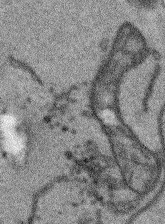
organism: Arabidopsis thaliana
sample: Root tip